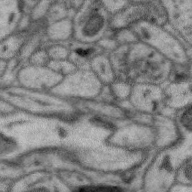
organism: Zebra finch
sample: Brain